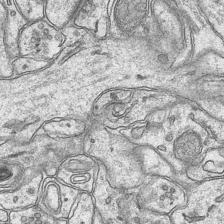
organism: Mouse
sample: CA1 Hippocampus